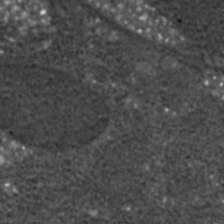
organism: C. elegans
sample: C. elegans embryo